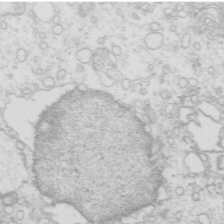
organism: Mouse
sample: Multiciliated cells